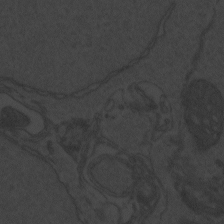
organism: Zebrafish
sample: Macrophage infected with Toxoplasma gondii